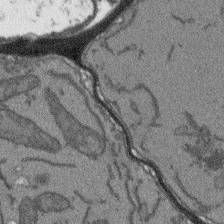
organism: Arabidopsis thaliana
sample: Root tip